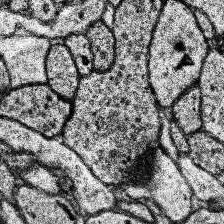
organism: Human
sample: Temporal Lobe